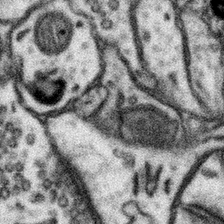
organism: Mouse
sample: Somatosensory cortex neuropil